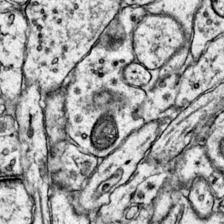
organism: Mouse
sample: Primary visual cortex